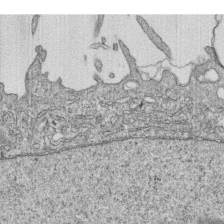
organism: Human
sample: HeLa cell HIV synapse